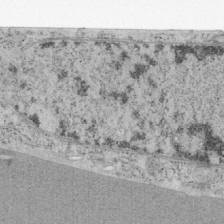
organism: Human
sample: HeLa cells